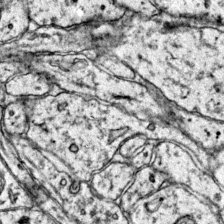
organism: Mouse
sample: Primary visual cortex